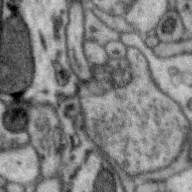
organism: Zebra finch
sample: Brain